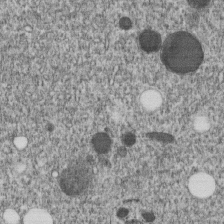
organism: C. elegans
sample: C. elegans embryo early stage